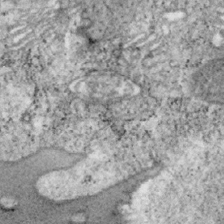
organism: Mouse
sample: OT-I killer T cells with ID8 ovarian cancer cells